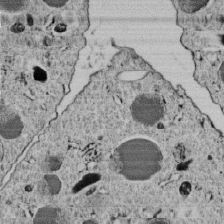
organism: C. elegans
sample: C. elegans embryo early stage